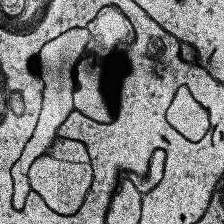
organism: Human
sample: Temporal Lobe